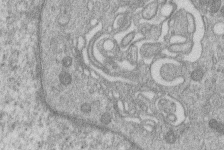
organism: Human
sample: Macrophage cells